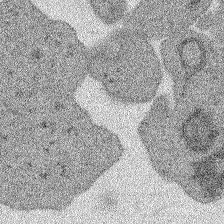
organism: Human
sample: HeLa cells